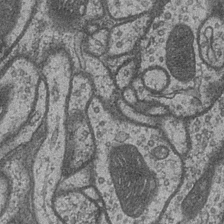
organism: Drosophila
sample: Optic medulla